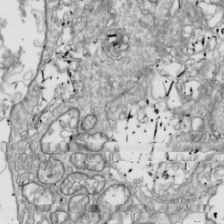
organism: Drosophila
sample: Cell division; meiosis; drosophila spermatocytes